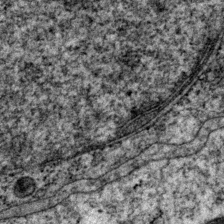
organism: P. pacificus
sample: Pharynx